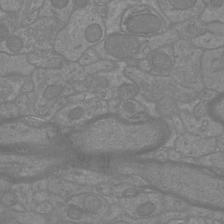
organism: Mouse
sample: Cortical neurons